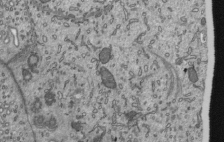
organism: Mouse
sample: Mouse epididymis efferent ductule cilia